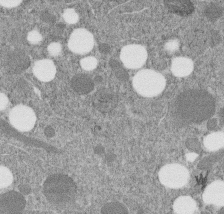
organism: C. elegans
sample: C. elegans embryo early stage